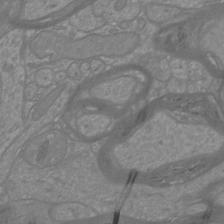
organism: Mouse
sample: Cortical neurons